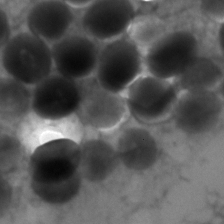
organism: Zebrafish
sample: Zebrafish embryo